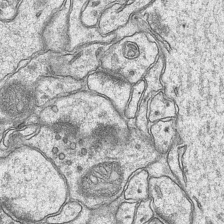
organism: Mouse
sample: CA1 Hippocampus